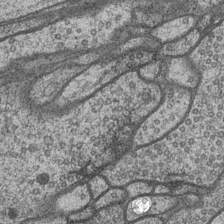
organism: Drosophila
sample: Optic medulla